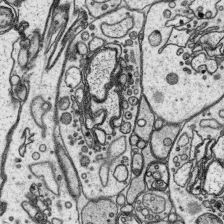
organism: Platynereis dumerilii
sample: Parapodia